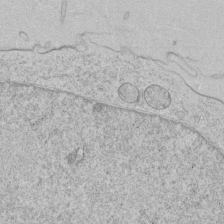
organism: Human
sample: Mitochondria in HCT116 cells